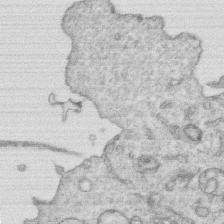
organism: Human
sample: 1205lu cells